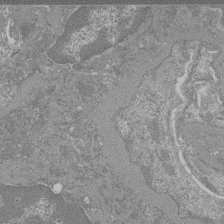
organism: Mouse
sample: Glomerulus